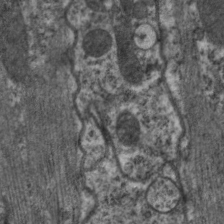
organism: C. elegans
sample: Pharynx